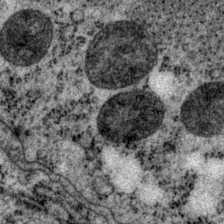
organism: P. pacificus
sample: Pharynx